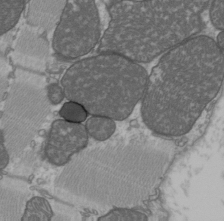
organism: C57BL Mouse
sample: Heart